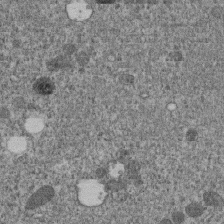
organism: C. elegans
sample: C. elegans embryo early stage